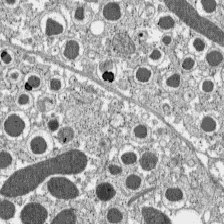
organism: C57BL Mouse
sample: Pancreatic islet